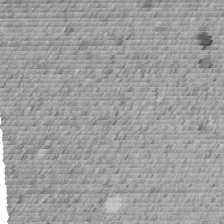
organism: C. elegans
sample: C. elegans embryo early stage